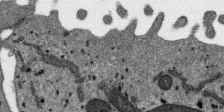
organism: Human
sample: Lung epithelial cells, uninfected (mock) control